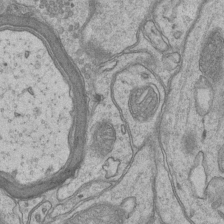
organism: Mouse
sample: CA1 Hippocampus